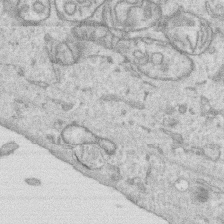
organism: Human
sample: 1205lu cells